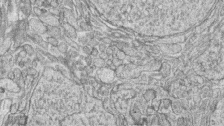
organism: Zebrafish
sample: synaptic ribbons in rod cells and cone cells